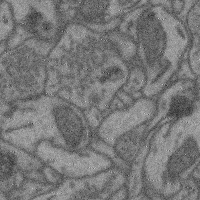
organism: Mouse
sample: Cerebral cortex